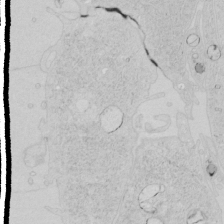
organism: Human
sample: Mitochondria in HCT116 cells